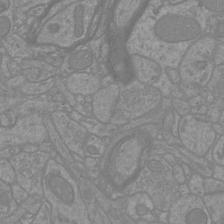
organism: Mouse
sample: Cortical neurons